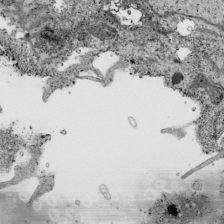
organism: Human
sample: Mitochondria in HCT116 cells